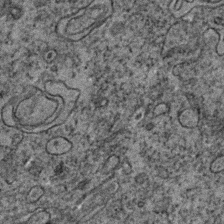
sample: Trachea